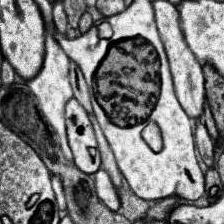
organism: Human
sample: Temporal Lobe